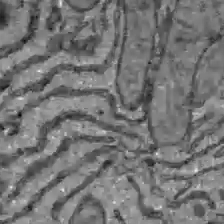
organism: C57BL Mouse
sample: Liver